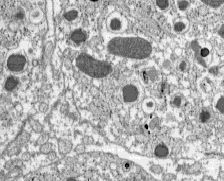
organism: C57BL Mouse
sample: Pancreatic islet